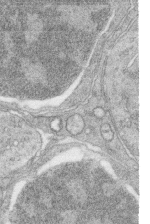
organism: Zebrafish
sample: synaptic ribbons in rod cells and cone cells